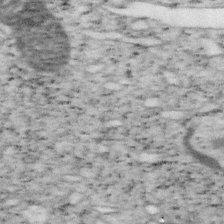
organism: Mouse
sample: OT-I killer T cells with ID8 ovarian cancer cells